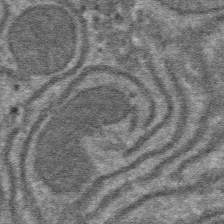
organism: Mouse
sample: Mouse hepatocytes